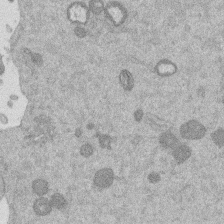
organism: Mouse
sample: Dividing mouse embryo 1 cell stage